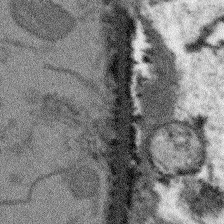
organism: Arabidopsis thaliana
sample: Root tip